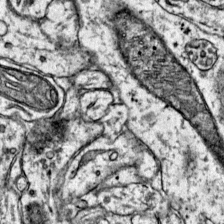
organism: Mouse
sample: Primary visual cortex